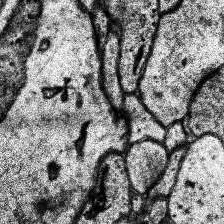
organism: Human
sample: Temporal Lobe